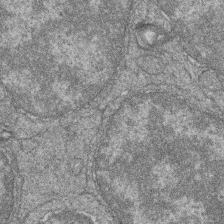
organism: Zebrafish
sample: Cilia; retinal pigment epithelium